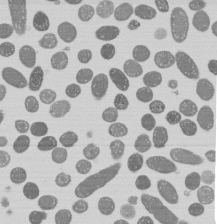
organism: E. coli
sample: Bacterial nucleoid